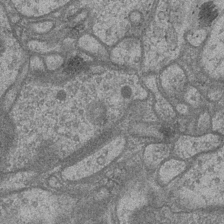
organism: Drosophila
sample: Optic medulla